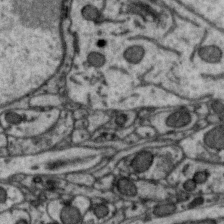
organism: Zebra finch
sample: Brain